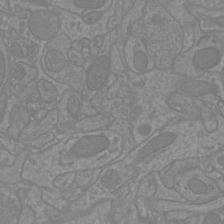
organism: Mouse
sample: Cortical neurons